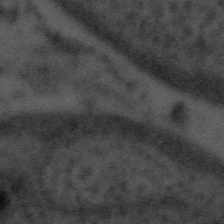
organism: Tuwongella immobilis